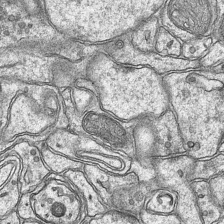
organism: Mouse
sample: CA1 Hippocampus